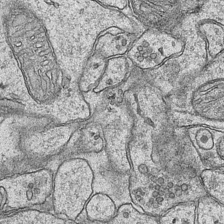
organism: Mouse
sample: CA1 Hippocampus